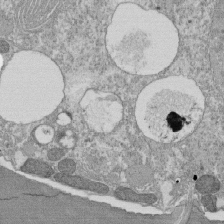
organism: Tetrahymena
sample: Cilia in tetrahymena